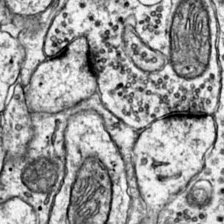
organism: Mouse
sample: Primary visual cortex